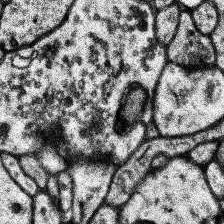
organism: Human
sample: Temporal Lobe